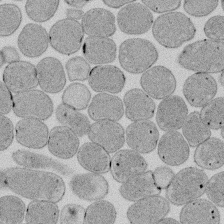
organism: E. coli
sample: Bacterial nucleoid